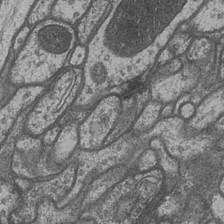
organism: Drosophila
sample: Optic medulla